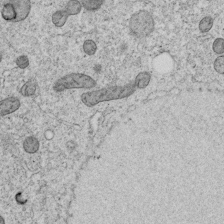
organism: C. elegans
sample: C. elegans embryo early stage